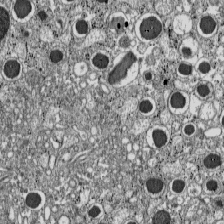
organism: C57BL Mouse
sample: Pancreatic islet